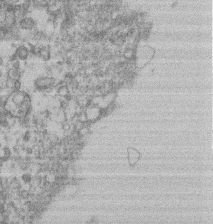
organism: Mouse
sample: T cell stromal cell synapse